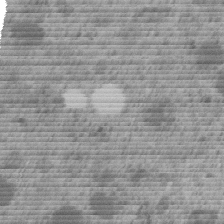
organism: C. elegans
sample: C. elegans embryo early stage